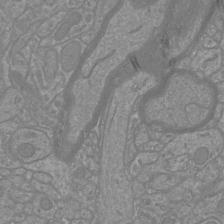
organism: Mouse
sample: Cortical neurons